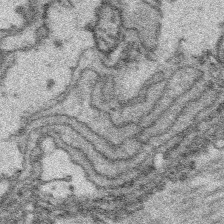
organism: Platynereis dumerilii